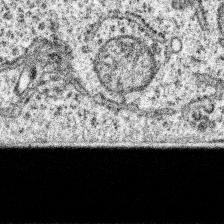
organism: Human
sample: HeLa cells